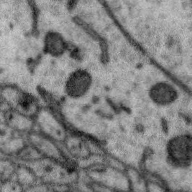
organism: Zebra finch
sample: Brain